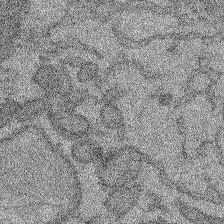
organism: Human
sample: HeLa cells